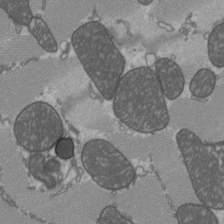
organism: C57BL Mouse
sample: Heart